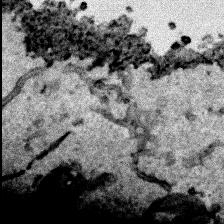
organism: Human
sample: Mitochondria in HCT116 cells